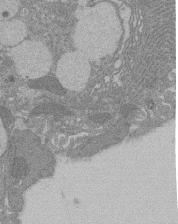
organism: Rat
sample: Salivary granule